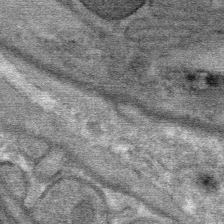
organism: Mouse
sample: Mouse Salivary gland